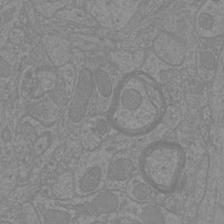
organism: Mouse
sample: Cortical neurons